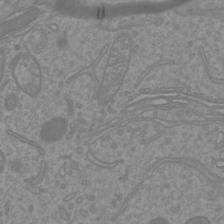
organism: Mouse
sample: Cortical neurons